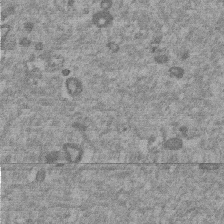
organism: Mouse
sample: Dividing mouse embryo 1 cell stage